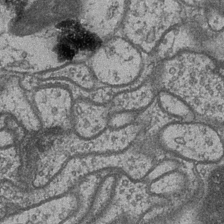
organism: Drosophila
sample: Optic medulla